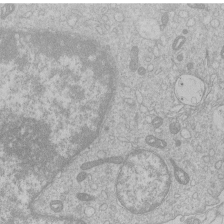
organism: Human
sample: Macrophage cells